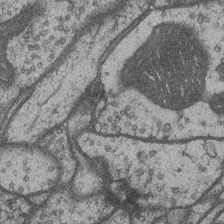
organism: Drosophila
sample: Optic medulla